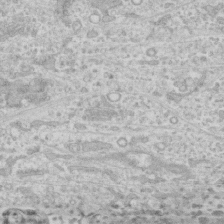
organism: Human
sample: CRL-1474